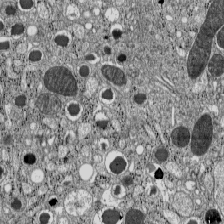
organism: C57BL Mouse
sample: Pancreatic islet